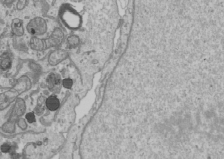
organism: Human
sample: Mitochondria in U2OS cells